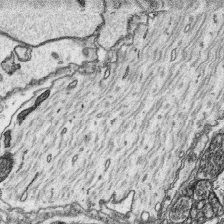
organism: Platynereis dumerilii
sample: Parapodia